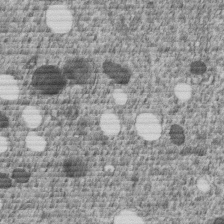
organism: C. elegans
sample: C. elegans embryo early stage